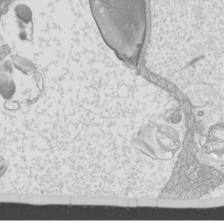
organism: Mouse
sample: Cilia; mouse epididymis